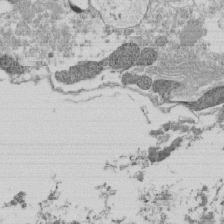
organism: Tetrahymena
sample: Cilia in tetrahymena